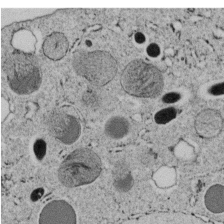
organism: C. elegans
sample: C. elegans embryo early stage